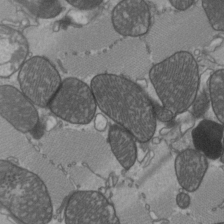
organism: C57BL Mouse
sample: Heart